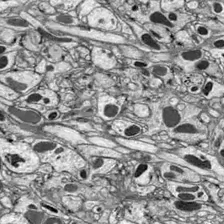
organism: Drosophila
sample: Optic lobe